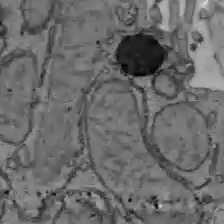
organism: C57BL Mouse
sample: Liver